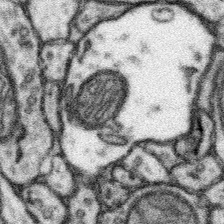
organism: Mouse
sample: Somatosensory cortex neuropil